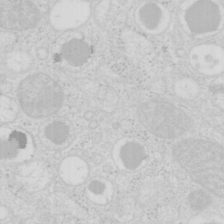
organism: Mouse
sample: Pancreas